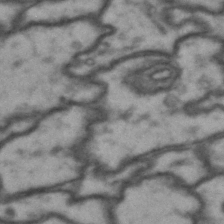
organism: Drosophila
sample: Brain